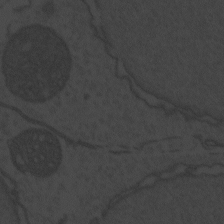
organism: Zebrafish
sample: Macrophage infected with Toxoplasma gondii